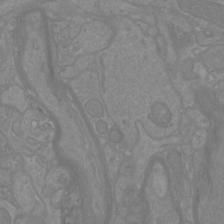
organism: Mouse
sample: Cortical neurons